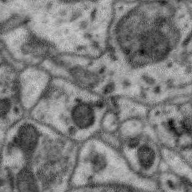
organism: Zebra finch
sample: Brain